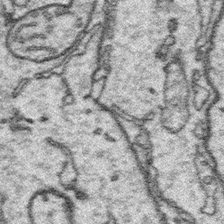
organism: Platynereis dumerilii